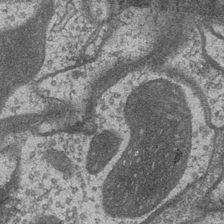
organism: Drosophila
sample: Optic medulla